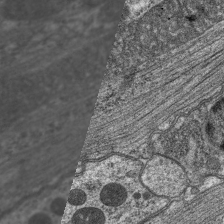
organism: C. elegans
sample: Pharynx